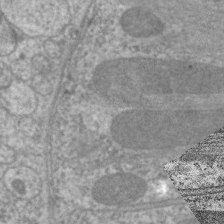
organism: C. elegans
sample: Pharynx